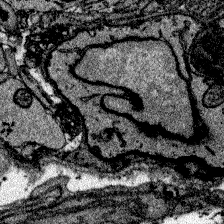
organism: Zebrafish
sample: Larval olfactory bulb